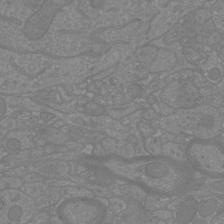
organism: Mouse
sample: Cortical neurons